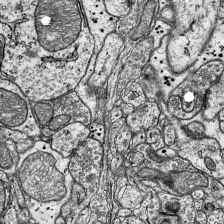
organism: Mouse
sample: Visual Cortex